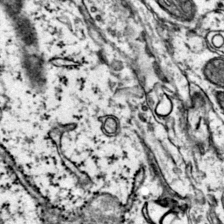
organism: Mouse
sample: Primary visual cortex